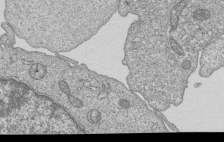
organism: Human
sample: MDA-MB-231 cells